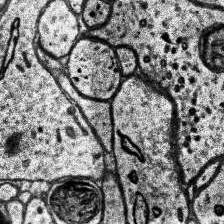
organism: Human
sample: Temporal Lobe